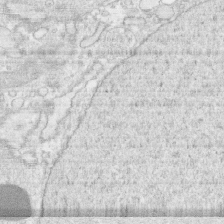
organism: Human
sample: CRL-1474